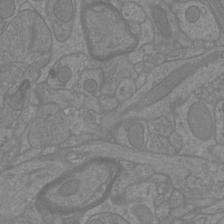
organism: Mouse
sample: Cortical neurons